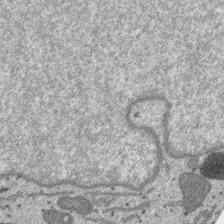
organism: Human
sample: Lung epithelial cells infected with SARS-CoV-2